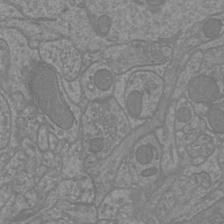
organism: Mouse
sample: Cortical neurons